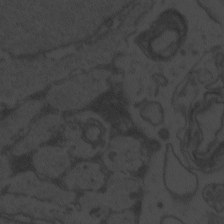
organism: Zebrafish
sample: Macrophage infected with Toxoplasma gondii